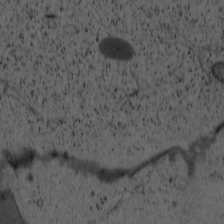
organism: African green monkey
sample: COS-7 cells